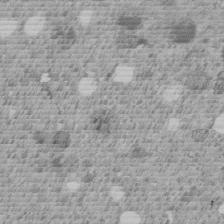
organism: C. elegans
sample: C. elegans embryo early stage